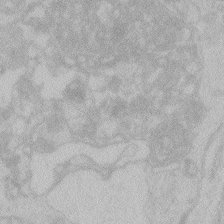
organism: Zebrafish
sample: Macrophage infected with Toxoplasma gondii